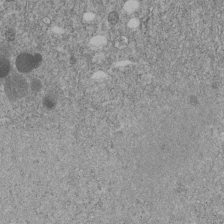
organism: C. elegans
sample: C. elegans embryo early stage